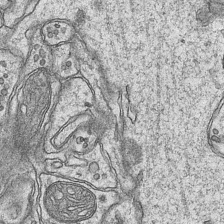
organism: Mouse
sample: CA1 Hippocampus